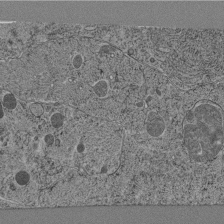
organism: C. elegans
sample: C. elegans pharynx